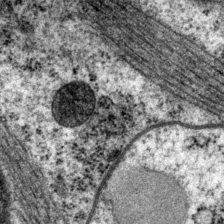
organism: P. pacificus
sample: Pharynx